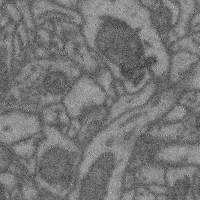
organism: Mouse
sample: Cerebral cortex